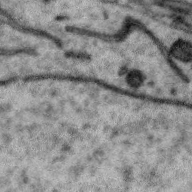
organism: Zebra finch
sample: Brain